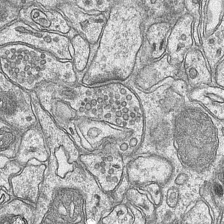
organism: Mouse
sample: CA1 Hippocampus